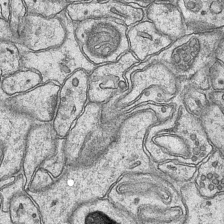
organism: Mouse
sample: CA1 Hippocampus